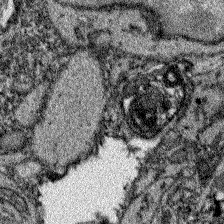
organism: Zebrafish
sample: Larval olfactory bulb